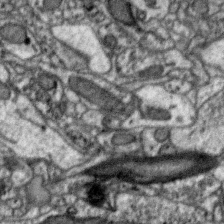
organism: Zebra finch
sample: Brain